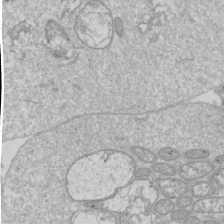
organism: Drosophila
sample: Cell division; meiosis; drosophila spermatocytes